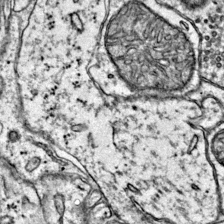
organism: Mouse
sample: Primary visual cortex